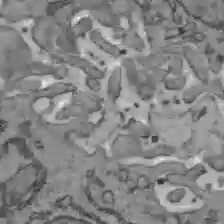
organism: C57BL Mouse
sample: Liver